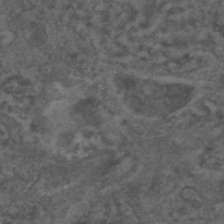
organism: C. elegans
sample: C. elegans embryo